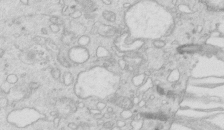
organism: Mouse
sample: Multiciliated cells